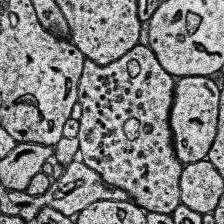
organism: Human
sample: Temporal Lobe